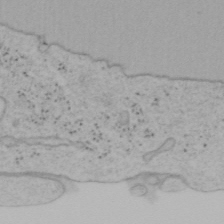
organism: Human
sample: HeLa cells